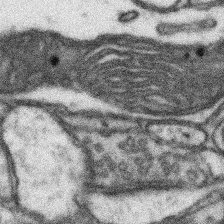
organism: Mouse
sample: Somatosensory cortex neuropil